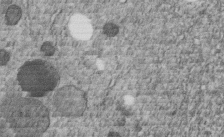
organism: C. elegans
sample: C. elegans embryo early stage